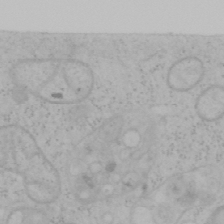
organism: Mouse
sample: OT-I killer T cells with ID8 ovarian cancer cells